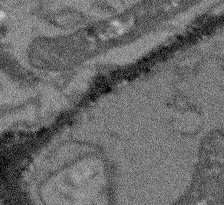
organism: Arabidopsis thaliana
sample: Root tip